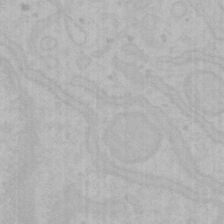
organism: Mouse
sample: Choroid plexus